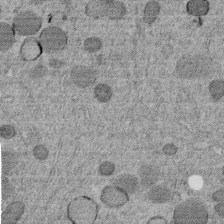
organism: C. elegans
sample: C. elegans embryo early stage